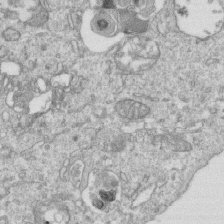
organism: Mouse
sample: Activated OT-1 CD8+ T cells